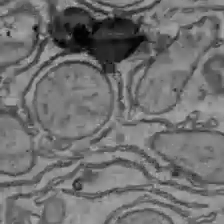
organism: C57BL Mouse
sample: Liver